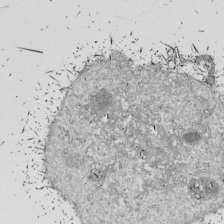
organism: Drosophila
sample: Cell division; meiosis; drosophila spermatocytes